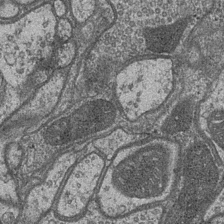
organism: Drosophila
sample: Optic medulla